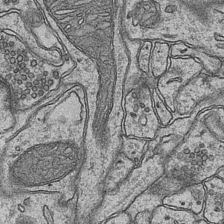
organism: Mouse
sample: CA1 Hippocampus